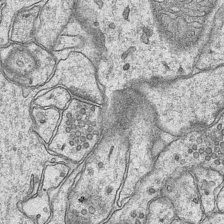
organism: Mouse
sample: CA1 Hippocampus